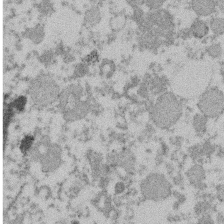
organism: Mouse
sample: Dividing mouse embryo 1 cell stage